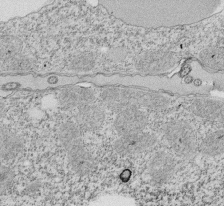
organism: Tetrahymena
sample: Cilia in tetrahymena